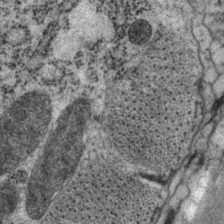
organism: P. pacificus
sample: Pharynx